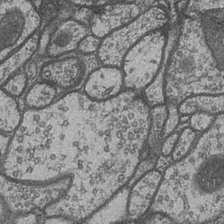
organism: Drosophila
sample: Optic medulla